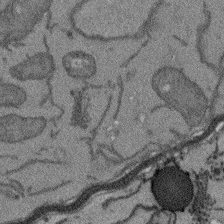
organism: Arabidopsis thaliana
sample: Root tip